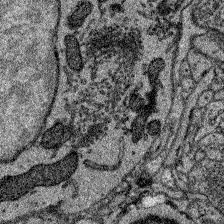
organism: Zebrafish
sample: Larval olfactory bulb